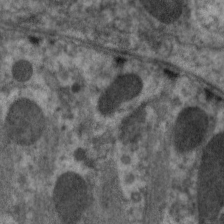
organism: C. elegans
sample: Pharynx